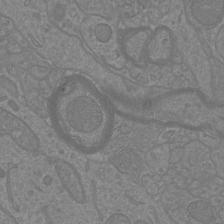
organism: Mouse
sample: Cortical neurons